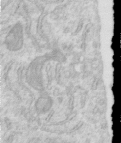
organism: Human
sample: Centriole in RPE cells